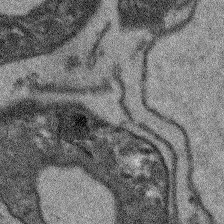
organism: Arabidopsis thaliana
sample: Root tip